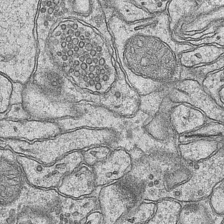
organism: Mouse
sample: CA1 Hippocampus